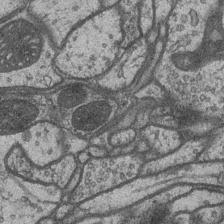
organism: Drosophila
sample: Optic medulla